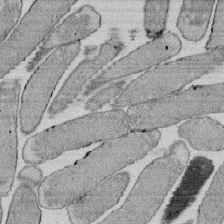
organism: E. coli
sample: Bacterial nucleoid